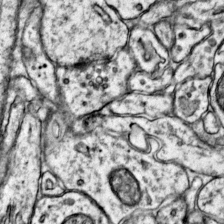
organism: Mouse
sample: Primary visual cortex